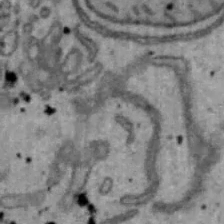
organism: Mouse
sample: Liver